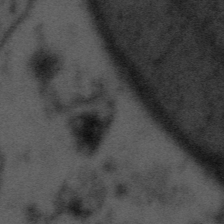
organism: Tuwongella immobilis